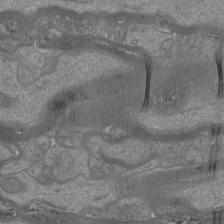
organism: Mouse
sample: Cortical neurons